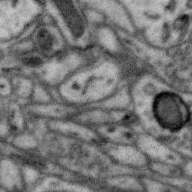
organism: Zebra finch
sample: Brain